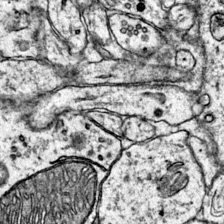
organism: Mouse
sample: Primary visual cortex